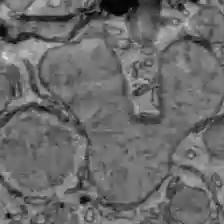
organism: C57BL Mouse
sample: Liver